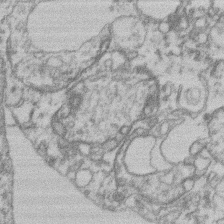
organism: Mouse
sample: T cell stromal cell synapse